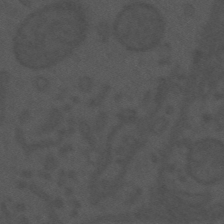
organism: Mouse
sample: Suprachiasmatic nucleus